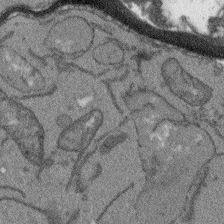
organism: Arabidopsis thaliana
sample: Root tip